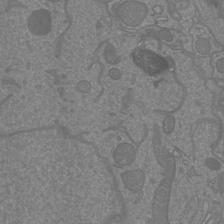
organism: Mouse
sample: Cortical neurons